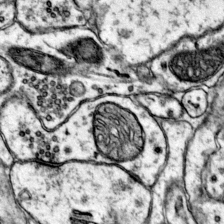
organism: Mouse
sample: Primary visual cortex